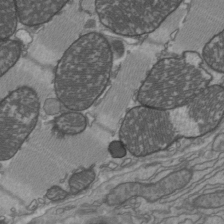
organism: C57BL Mouse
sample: Heart